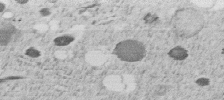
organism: C. elegans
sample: C. elegans embryo early stage